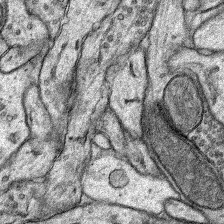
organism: Rat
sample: Hippocampus